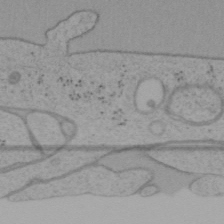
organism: Human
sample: HeLa cells